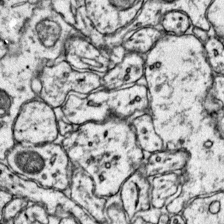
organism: Mouse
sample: Primary visual cortex